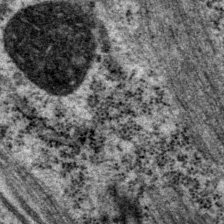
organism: P. pacificus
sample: Pharynx